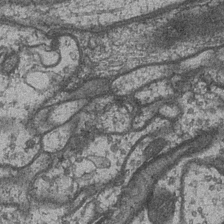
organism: Drosophila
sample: Optic medulla